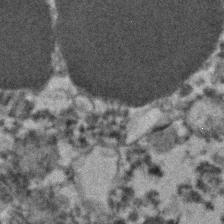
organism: Human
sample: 1205lu cells